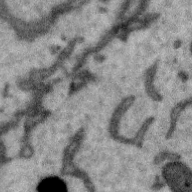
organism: Zebra finch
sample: Brain